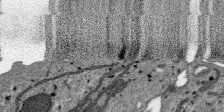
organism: Human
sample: Lung epithelial cells, uninfected (mock) control